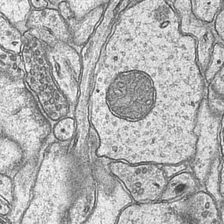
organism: Mouse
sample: CA1 Hippocampus